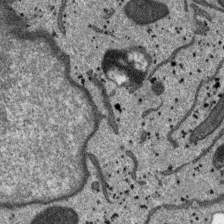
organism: Human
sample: Lung epithelial cells, uninfected (mock) control